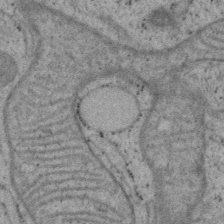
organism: Human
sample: HeLa cells